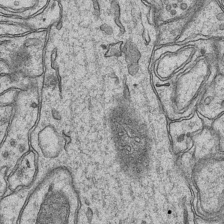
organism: Mouse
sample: CA1 Hippocampus